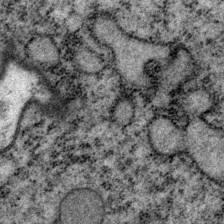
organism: P. pacificus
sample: Pharynx